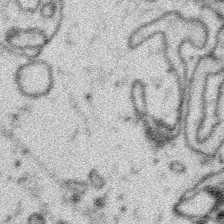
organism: Platynereis dumerilii